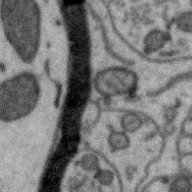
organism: Zebra finch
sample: Brain